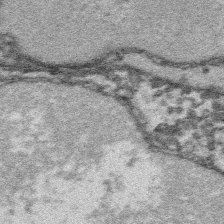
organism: Platynereis dumerilii